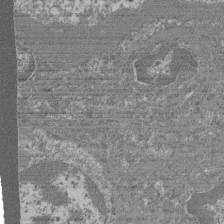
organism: Mouse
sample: Glomerulus